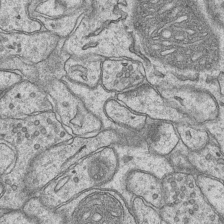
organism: Mouse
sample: CA1 Hippocampus